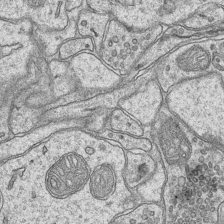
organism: Mouse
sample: CA1 Hippocampus